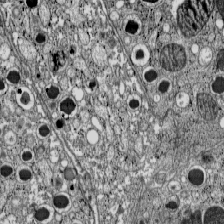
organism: C57BL Mouse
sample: Pancreatic islet